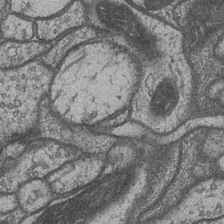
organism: Drosophila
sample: Optic medulla